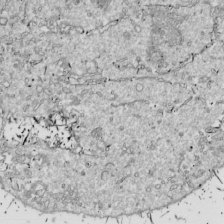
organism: Drosophila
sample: Cell division; meiosis; drosophila spermatocytes